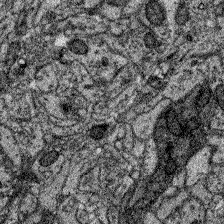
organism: Zebrafish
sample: Larval olfactory bulb